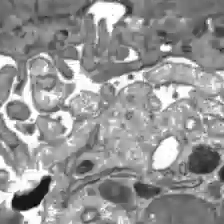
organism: C57BL Mouse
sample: Liver